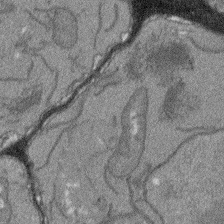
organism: Arabidopsis thaliana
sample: Root tip